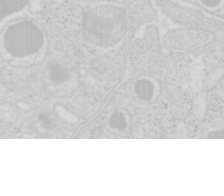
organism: Mouse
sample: Pancreas